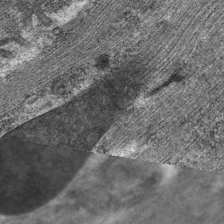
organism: C. elegans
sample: Pharynx